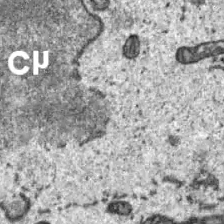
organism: Human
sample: HeLa cells